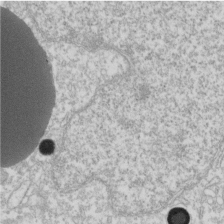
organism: Xenopus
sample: Cilia; centrioles in frog embryo cells